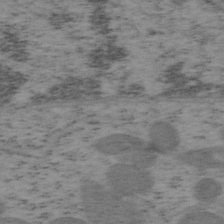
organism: Mouse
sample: OT-I killer T cells with ID8 ovarian cancer cells